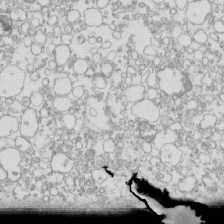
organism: Mouse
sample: Macrophages